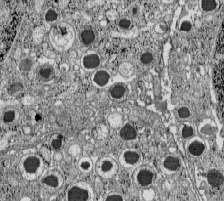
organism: C57BL Mouse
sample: Pancreatic islet